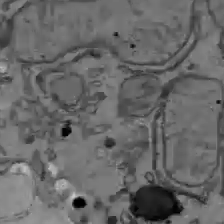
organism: C57BL Mouse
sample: Liver